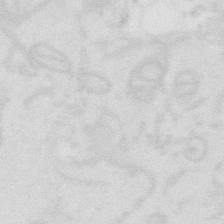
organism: Human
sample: HeLa cells